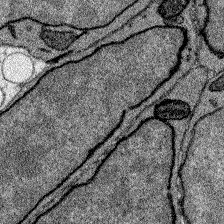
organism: Zebrafish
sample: Larval olfactory bulb